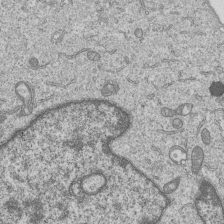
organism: Human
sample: MDA-MB-231 cells